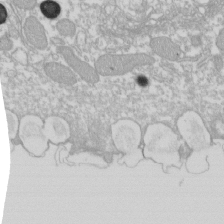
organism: Xenopus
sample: Cilia; centrioles in frog embryo cells